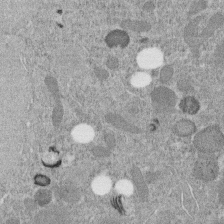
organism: C. elegans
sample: C. elegans embryo early stage